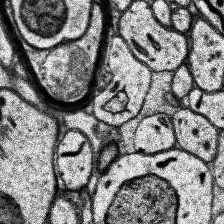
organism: Human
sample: Temporal Lobe